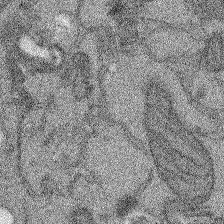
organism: Human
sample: HeLa cells